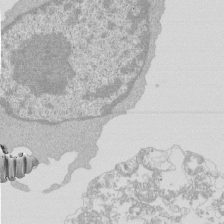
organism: Mouse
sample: Activated Pmel transgenic CD8+ T Cells